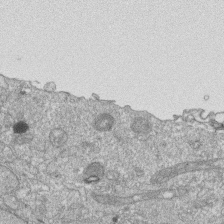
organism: Human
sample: HeLa cell HIV synapse